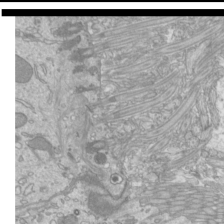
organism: Mouse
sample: Cilia; mouse epididymis